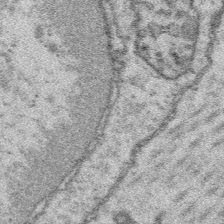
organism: Platynereis dumerilii